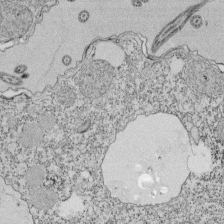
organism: Tetrahymena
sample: Cilia in tetrahymena